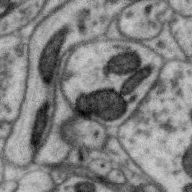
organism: Zebra finch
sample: Brain